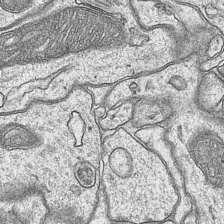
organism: Mouse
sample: CA1 Hippocampus